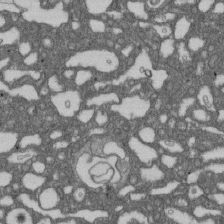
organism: Drosophila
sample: Nephrocyte